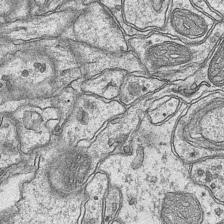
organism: Mouse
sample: CA1 Hippocampus